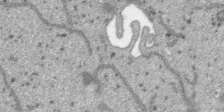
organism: Human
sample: Lung epithelial cells infected with SARS-CoV-2